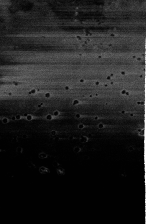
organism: Human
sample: Activated Jurkat CD4+ T cells